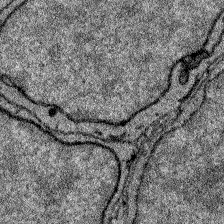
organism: Zebrafish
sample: Larval olfactory bulb